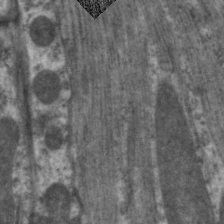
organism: C. elegans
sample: Pharynx